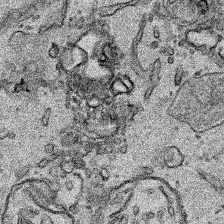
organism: Human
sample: Mitochondria in HCT116 cells